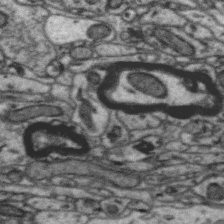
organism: Zebra finch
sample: Brain